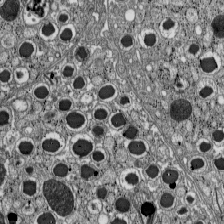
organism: C57BL Mouse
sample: Pancreatic islet